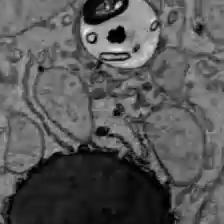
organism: C57BL Mouse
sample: Liver